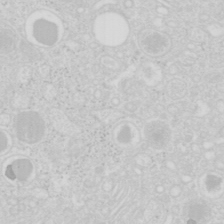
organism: Mouse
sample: Pancreas